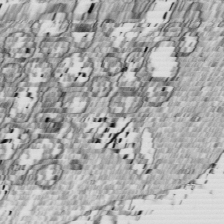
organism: Drosophila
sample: Cell division; meiosis; drosophila spermatocytes